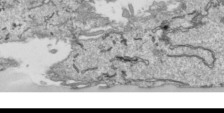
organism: Human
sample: Mitochondria in HCT116 cells